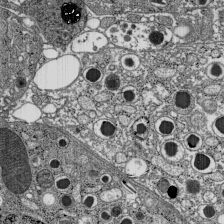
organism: C57BL Mouse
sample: Pancreatic islet